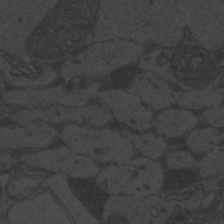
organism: Zebrafish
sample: Macrophage infected with Toxoplasma gondii